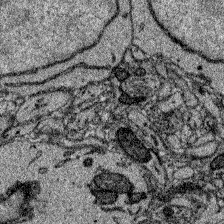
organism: Zebrafish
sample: Larval olfactory bulb